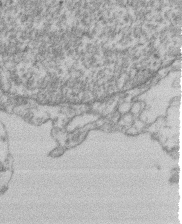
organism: Mouse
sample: T cell stromal cell synapse